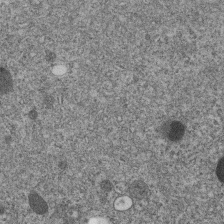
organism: C. elegans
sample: C. elegans embryo early stage